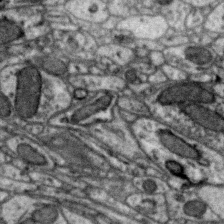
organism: Zebra finch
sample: Brain